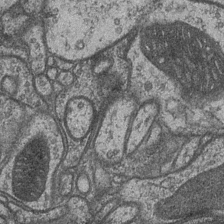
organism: Drosophila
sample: Optic medulla